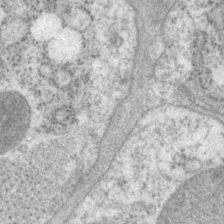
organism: P. pacificus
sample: Pharynx